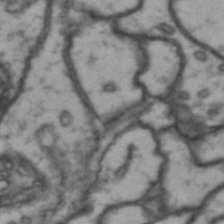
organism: Drosophila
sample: Brain